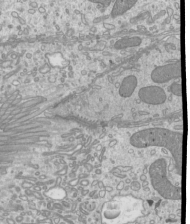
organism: Mouse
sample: Cilia; mouse epididymis